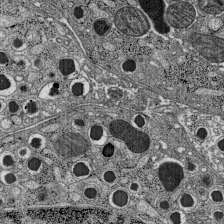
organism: C57BL Mouse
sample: Pancreatic islet